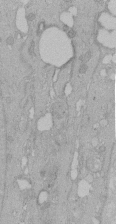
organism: Human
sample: Melanocyte Keratinocyte synapse skin construct